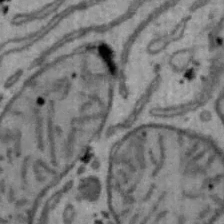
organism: Mouse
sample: Liver